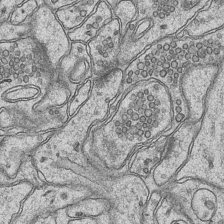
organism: Mouse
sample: CA1 Hippocampus